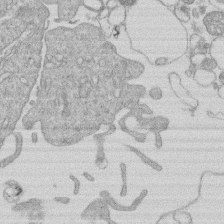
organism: Human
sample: Macrophage cells